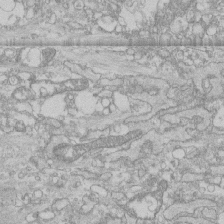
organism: Human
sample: CRL-1474